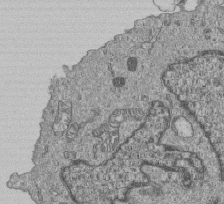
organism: Human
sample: MDA-MB-231 cells